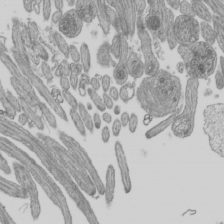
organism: Mouse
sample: Cilia; mouse epididymis